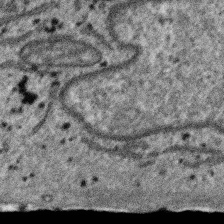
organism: Human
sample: Lung epithelial cells infected with SARS-CoV-2